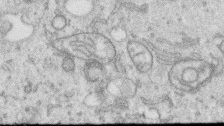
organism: Human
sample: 1205lu cells